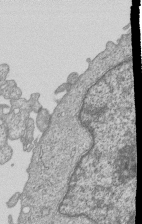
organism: Human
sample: MDA-MB-231 cells